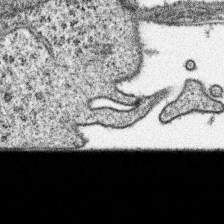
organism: Human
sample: HeLa cells